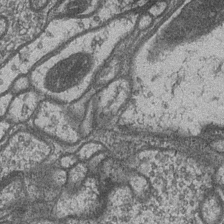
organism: Drosophila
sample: Optic medulla